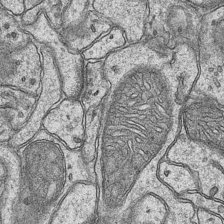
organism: Mouse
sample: CA1 Hippocampus